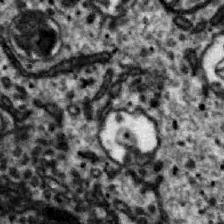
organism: Human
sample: HeLa cells